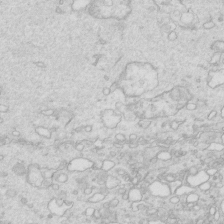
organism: Mouse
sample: Multiciliated cells